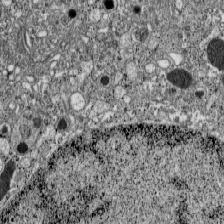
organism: C57BL Mouse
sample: Pancreatic islet